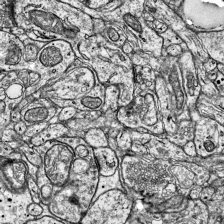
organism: Mouse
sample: Visual Cortex